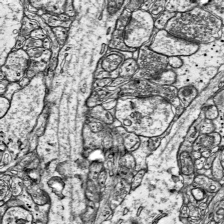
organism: Mouse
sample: Visual Cortex